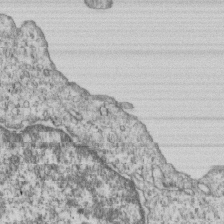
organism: Human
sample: MDA-MB-231 cells